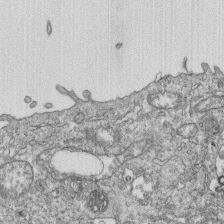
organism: Human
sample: HeLa cell HIV synapse